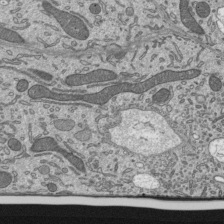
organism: Mouse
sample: Mouse epididymis efferent ductule cilia